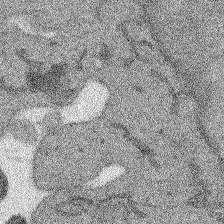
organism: Human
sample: HeLa cells